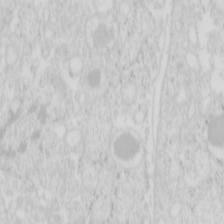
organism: Mouse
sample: Pancreas